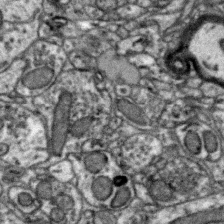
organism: Zebra finch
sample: Brain